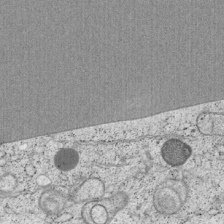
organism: African green monkey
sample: COS-7 cells